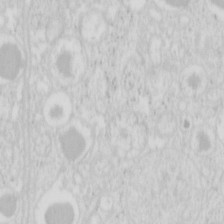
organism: Mouse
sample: Pancreas